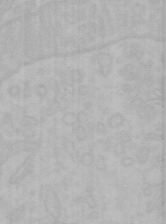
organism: Mouse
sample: Choroid plexus